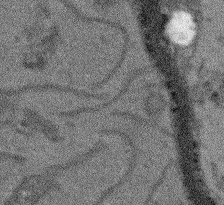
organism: Arabidopsis thaliana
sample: Root tip